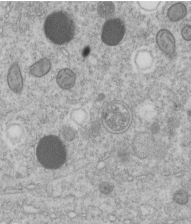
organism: C. elegans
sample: C. elegans embryo early stage